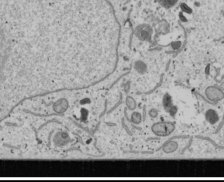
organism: Human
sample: Mitochondria in U2OS cells